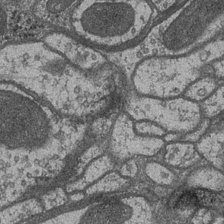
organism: Drosophila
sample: Optic medulla